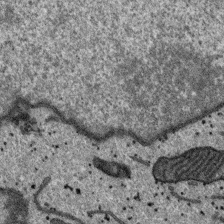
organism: Human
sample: Lung epithelial cells, uninfected (mock) control